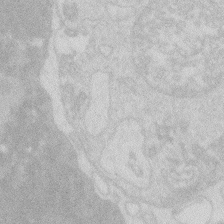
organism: Zebrafish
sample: Macrophage